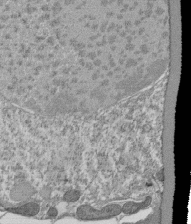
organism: Tetrahymena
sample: Cilia in tetrahymena